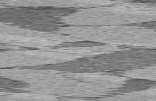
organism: C57BL Mouse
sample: Heart